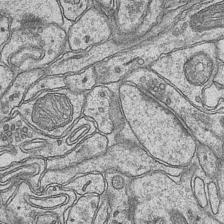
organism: Mouse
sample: CA1 Hippocampus